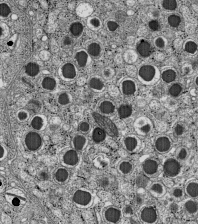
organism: C57BL Mouse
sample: Pancreatic islet